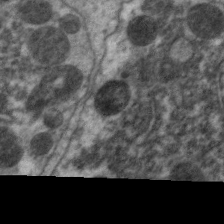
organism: C. elegans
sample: Pharynx